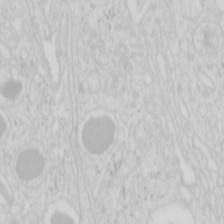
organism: Mouse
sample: Pancreas